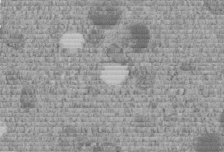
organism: C. elegans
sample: C. elegans embryo early stage